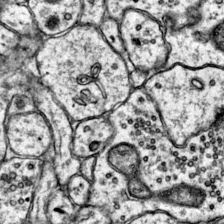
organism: Mouse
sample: Primary visual cortex